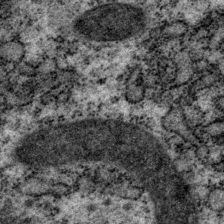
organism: P. pacificus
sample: Pharynx